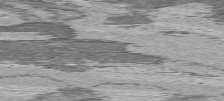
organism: C57BL Mouse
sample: Heart